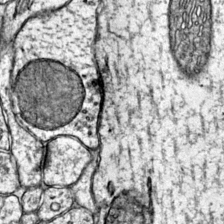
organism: Mouse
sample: Primary visual cortex